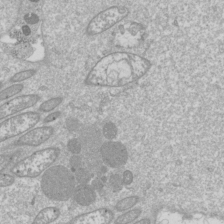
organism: Drosophila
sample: Cell division; meiosis; drosophila spermatocytes